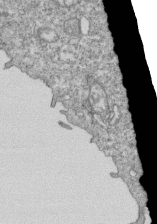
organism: Human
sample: HeLa cell HIV synapse